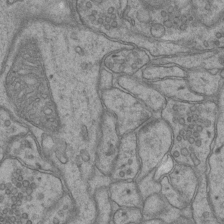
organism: Mouse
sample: CA1 Hippocampus